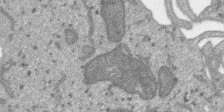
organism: Human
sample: Lung epithelial cells infected with SARS-CoV-2